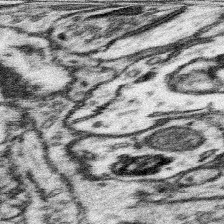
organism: Mouse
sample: Somatosensory cortex neuropil